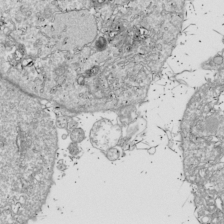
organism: Drosophila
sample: Cell division; meiosis; drosophila spermatocytes